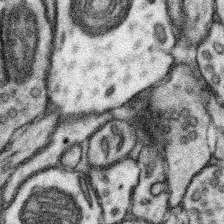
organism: Mouse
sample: Somatosensory cortex neuropil